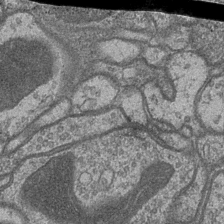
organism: Drosophila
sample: Optic medulla